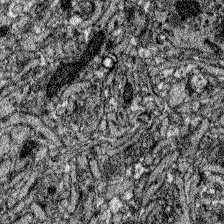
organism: Zebrafish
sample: Larval olfactory bulb